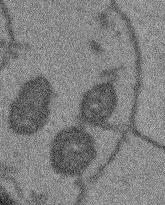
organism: Arabidopsis thaliana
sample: Root tip